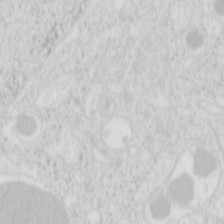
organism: Mouse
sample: Pancreas